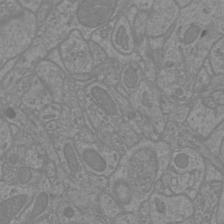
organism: Mouse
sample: Cortical neurons